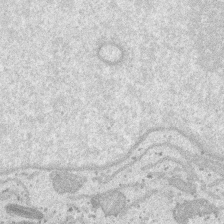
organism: Human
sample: Lung epithelial cells infected with SARS-CoV-2